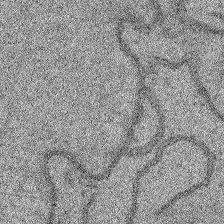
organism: Human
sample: HeLa cells